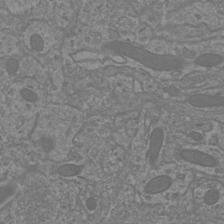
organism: Mouse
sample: Cortical neurons